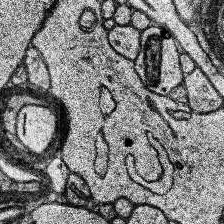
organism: Human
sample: Temporal Lobe